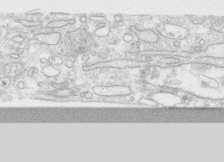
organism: Human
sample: CRL-1474